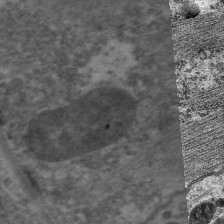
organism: C. elegans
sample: Pharynx